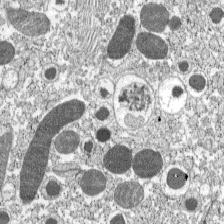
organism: C57BL Mouse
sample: Pancreatic islet